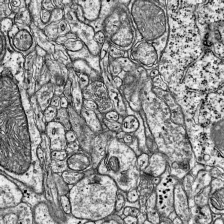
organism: Mouse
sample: Visual Cortex